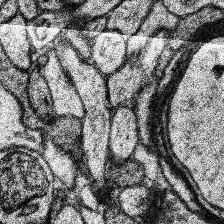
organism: Human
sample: Temporal Lobe